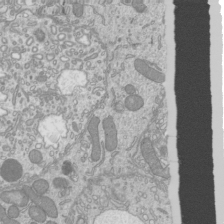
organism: Mouse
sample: Cilia; mouse epididymis